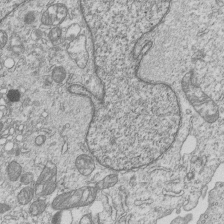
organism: Human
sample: MDA-MB-231 cells